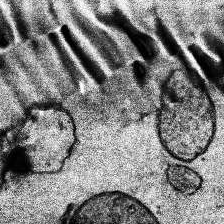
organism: Human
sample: Temporal Lobe